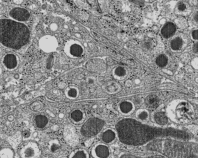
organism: C57BL Mouse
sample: Pancreatic islet